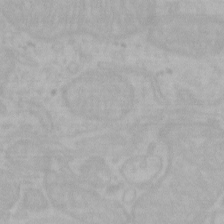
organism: Mouse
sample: Choroid plexus